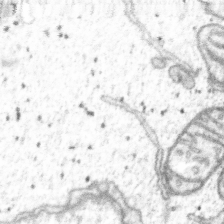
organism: Human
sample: HeLa cells